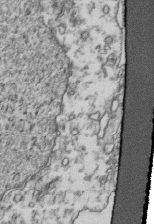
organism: Human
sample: Activated Jurkat CD4+ T cells